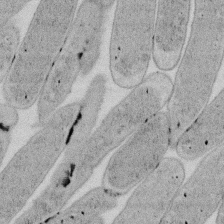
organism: E. coli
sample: Bacterial nucleoid